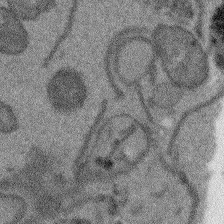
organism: Arabidopsis thaliana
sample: Root tip